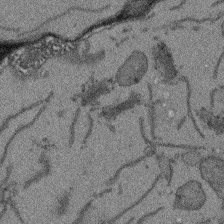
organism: Arabidopsis thaliana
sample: Root tip